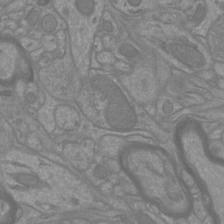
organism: Mouse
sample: Cortical neurons